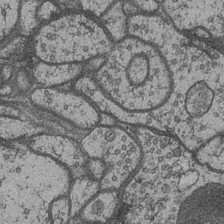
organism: Drosophila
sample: Optic medulla